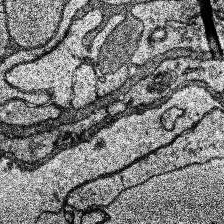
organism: Human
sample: Temporal Lobe